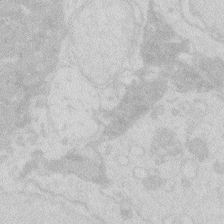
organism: Zebrafish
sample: Macrophage